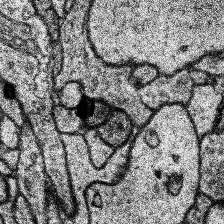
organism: Human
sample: Temporal Lobe